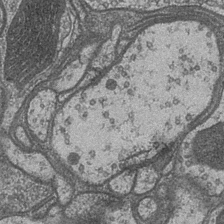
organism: Drosophila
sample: Optic medulla